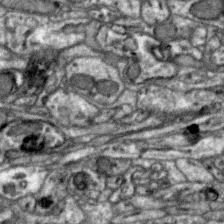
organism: Zebra finch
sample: Brain